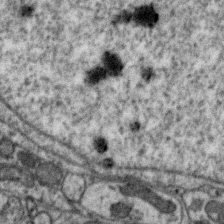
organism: Zebra finch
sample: Brain